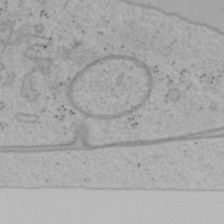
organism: Human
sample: HeLa cells